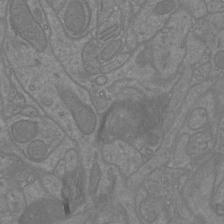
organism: Mouse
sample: Cortical neurons